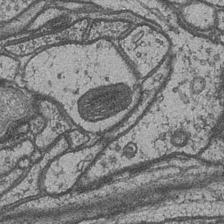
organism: Drosophila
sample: Optic medulla